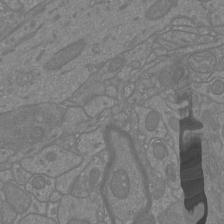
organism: Mouse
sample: Cortical neurons